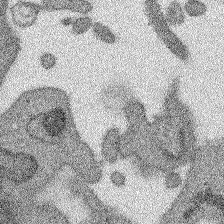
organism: Human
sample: HeLa cells